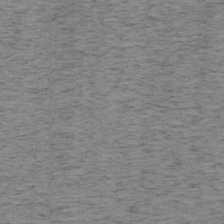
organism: Mouse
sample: OT-I killer T cells with ID8 ovarian cancer cells